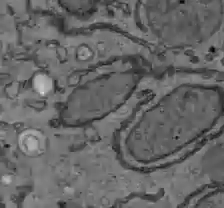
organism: C57BL Mouse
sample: Liver